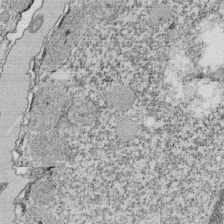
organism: Tetrahymena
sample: Cilia in tetrahymena